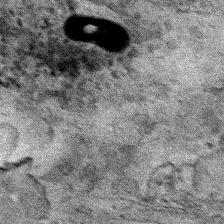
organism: Human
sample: Mitochondria in HCT116 cells